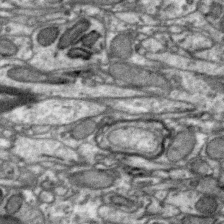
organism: Zebra finch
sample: Brain